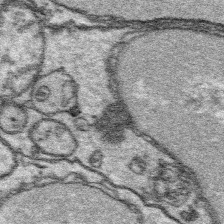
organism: Platynereis dumerilii